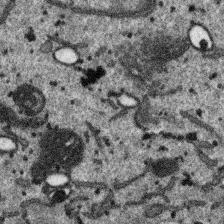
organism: Human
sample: Lung epithelial cells infected with SARS-CoV-2